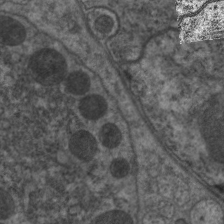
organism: C. elegans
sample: Pharynx